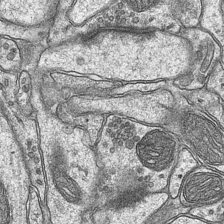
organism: Mouse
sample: CA1 Hippocampus